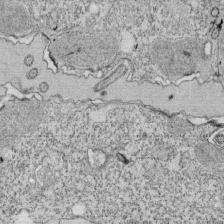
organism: Tetrahymena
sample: Cilia in tetrahymena